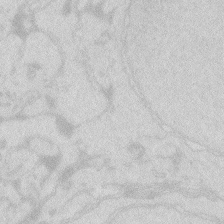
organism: Zebrafish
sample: Macrophage